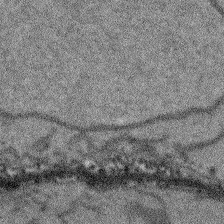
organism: Arabidopsis thaliana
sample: Root tip